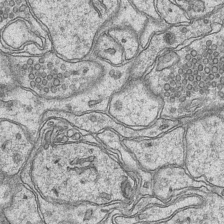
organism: Mouse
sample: CA1 Hippocampus